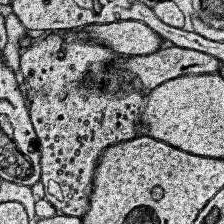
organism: Human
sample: Temporal Lobe